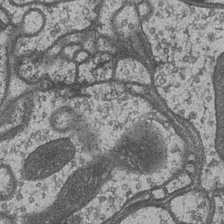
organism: Drosophila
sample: Optic medulla